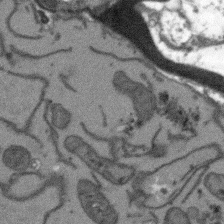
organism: Arabidopsis thaliana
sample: Root tip